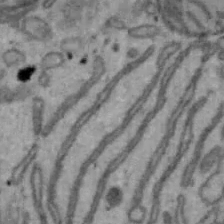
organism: Mouse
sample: Liver